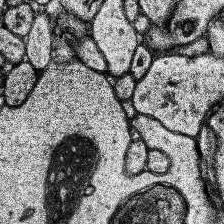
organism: Human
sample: Temporal Lobe